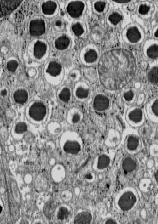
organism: C57BL Mouse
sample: Pancreatic islet